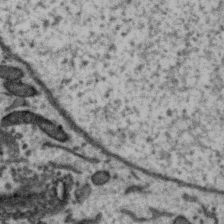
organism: Zebra finch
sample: Brain